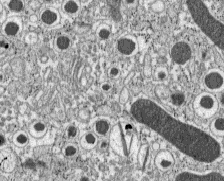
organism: C57BL Mouse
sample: Pancreatic islet